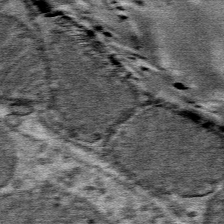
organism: Mouse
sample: Mouse Salivary gland